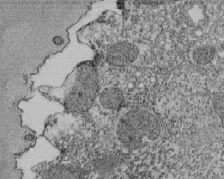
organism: Tetrahymena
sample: Cilia in tetrahymena